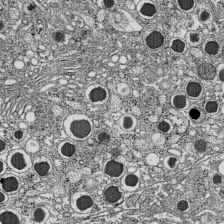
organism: C57BL Mouse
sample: Pancreatic islet